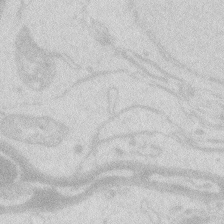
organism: Zebrafish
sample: Macrophage